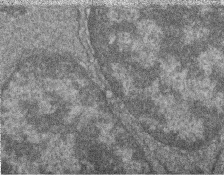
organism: Zebrafish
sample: Cilia; retinal pigment epithelium